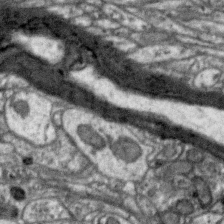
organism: Zebra finch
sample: Brain